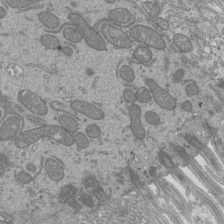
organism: Mouse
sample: Cilia; mouse epididymis